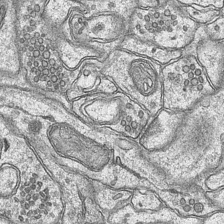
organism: Mouse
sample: CA1 Hippocampus